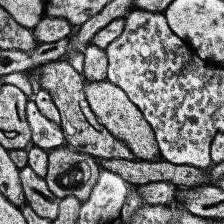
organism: Human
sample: Temporal Lobe